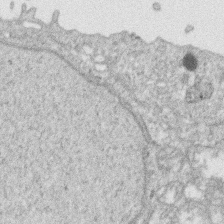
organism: Human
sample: HeLa cell HIV synapse